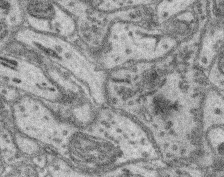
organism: Mouse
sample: Retina